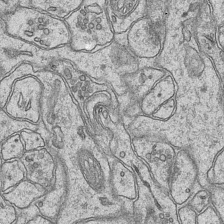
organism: Mouse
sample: CA1 Hippocampus